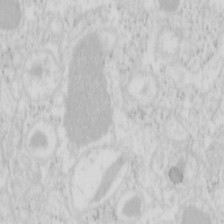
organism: Mouse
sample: Pancreas